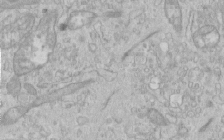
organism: Human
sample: Centriole in RPE cells